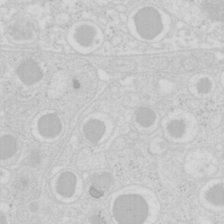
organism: Mouse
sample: Pancreas